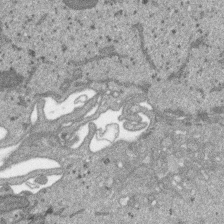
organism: Human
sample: Lung epithelial cells infected with SARS-CoV-2